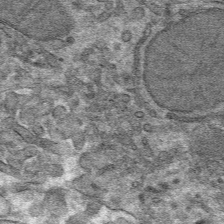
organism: Mouse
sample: Mouse hepatocytes